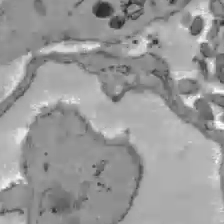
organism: C57BL Mouse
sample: Liver